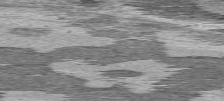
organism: C57BL Mouse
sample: Heart